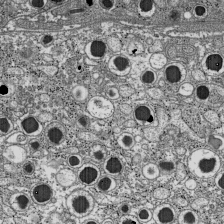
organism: C57BL Mouse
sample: Pancreatic islet